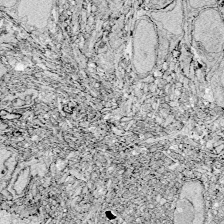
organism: Zebrafish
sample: Whole-Brain